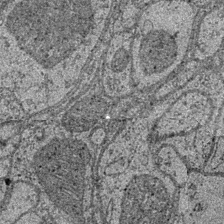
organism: Drosophila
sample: Optic medulla